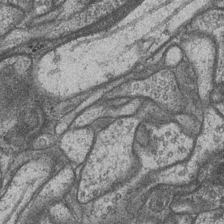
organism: Drosophila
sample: Optic medulla